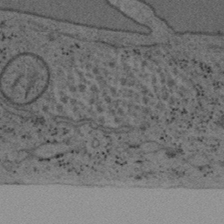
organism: Human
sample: HeLa cells